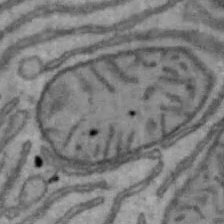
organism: Mouse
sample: Liver